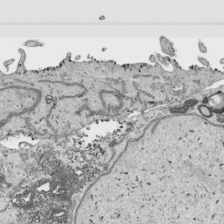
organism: Human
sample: Mitochondria in HCT116 cells